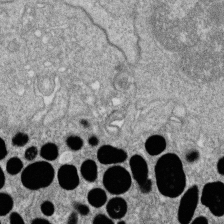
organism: Zebrafish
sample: Cilia; retinal pigment epithelium